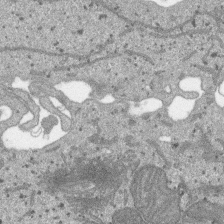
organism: Human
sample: Lung epithelial cells infected with SARS-CoV-2